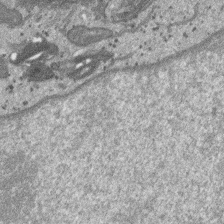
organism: Human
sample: Lung epithelial cells infected with SARS-CoV-2